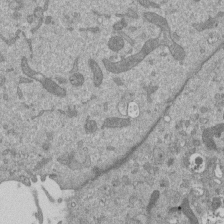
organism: Mouse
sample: ED-1 cell nuclei; centrioles